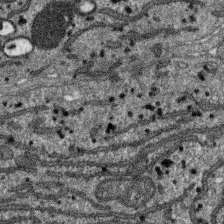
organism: Human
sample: Lung epithelial cells infected with SARS-CoV-2